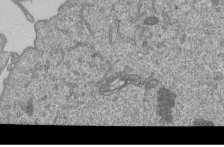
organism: Human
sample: MDA-MB-231 cells